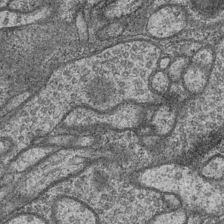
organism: Drosophila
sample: Optic medulla